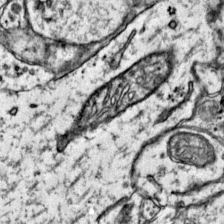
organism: Mouse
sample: Primary visual cortex